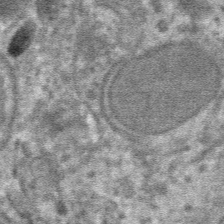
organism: Mouse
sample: Mouse hepatocytes